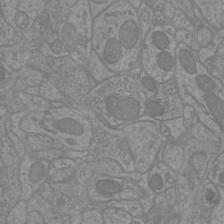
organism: Mouse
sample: Cortical neurons